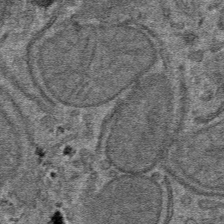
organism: Mouse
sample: Mouse hepatocytes